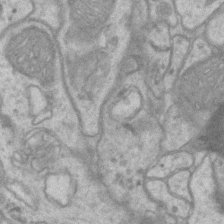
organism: Mouse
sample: CA1 Hippocampus